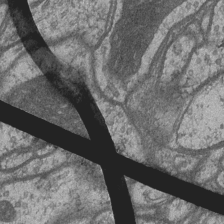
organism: Drosophila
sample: Optic medulla